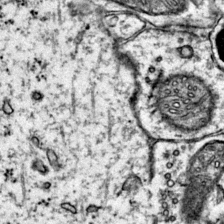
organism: Mouse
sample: Primary visual cortex